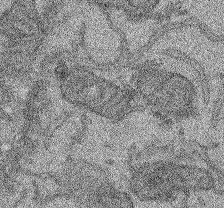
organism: Human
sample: HeLa cells